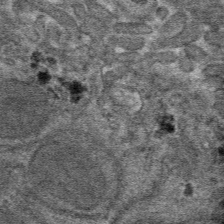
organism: Mouse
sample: Mouse hepatocytes